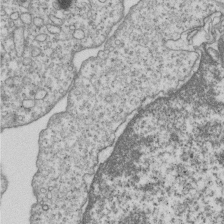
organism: Human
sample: MDA-MB-231 cells